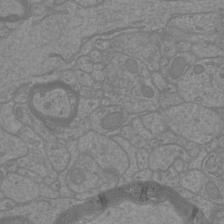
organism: Mouse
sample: Cortical neurons